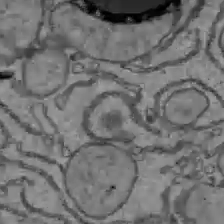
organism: C57BL Mouse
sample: Liver